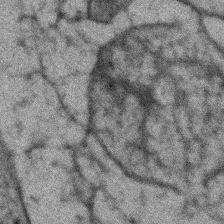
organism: Zebrafish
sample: Zebrafish embryo